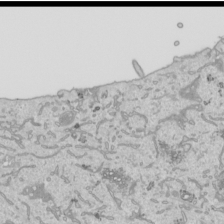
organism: Human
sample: Mitochondria in HCT116 cells